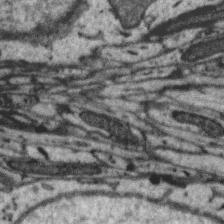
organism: Zebra finch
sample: Brain